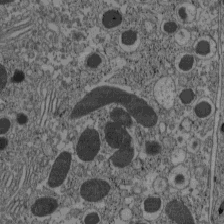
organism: C57BL Mouse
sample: Pancreatic islet